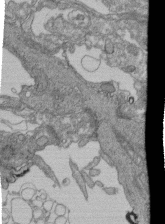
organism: Human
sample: Retinal organoid Rod and Cone cells